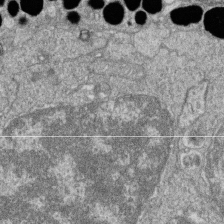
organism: Zebrafish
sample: Cilia; retinal pigment epithelium